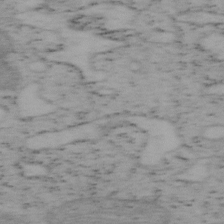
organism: Mouse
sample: OT-I killer T cells with ID8 ovarian cancer cells